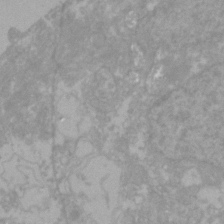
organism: Zebrafish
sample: Zebrafish embryo